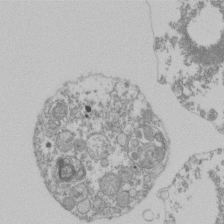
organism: Mouse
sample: Activated Pmel transgenic CD8+ T Cells